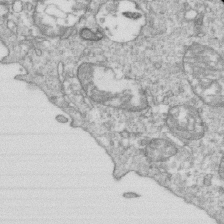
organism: Mouse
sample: Activated OT-1 CD8+ T cells